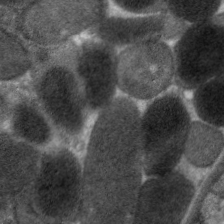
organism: C. elegans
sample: Pharynx